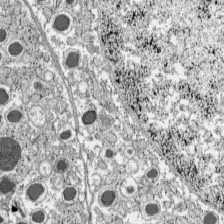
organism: C57BL Mouse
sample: Pancreatic islet